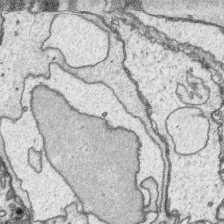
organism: Platynereis dumerilii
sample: Parapodia